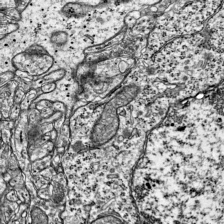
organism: Mouse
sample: Visual Cortex